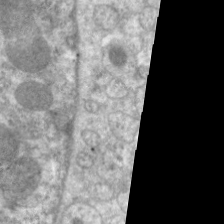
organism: C. elegans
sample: Pharynx